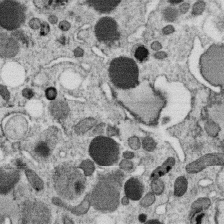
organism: C. elegans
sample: C. elegans oocyte; sperm cells